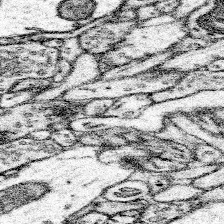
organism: Mouse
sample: Somatosensory cortex neuropil